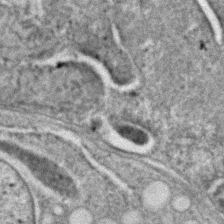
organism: C. elegans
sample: C. elegans embryo